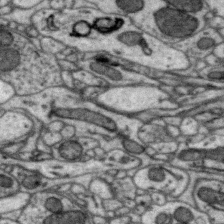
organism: Zebra finch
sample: Brain